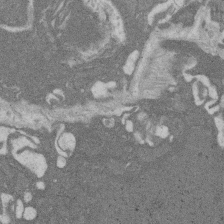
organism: Rat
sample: Salivary granule